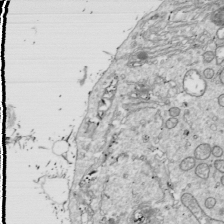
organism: Drosophila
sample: Cell division; meiosis; drosophila spermatocytes